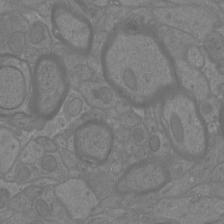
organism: Mouse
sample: Cortical neurons